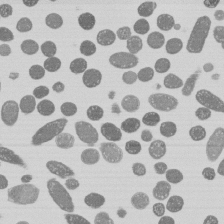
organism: E. coli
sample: Bacterial nucleoid